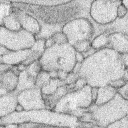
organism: Rabbit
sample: Retina